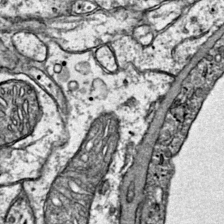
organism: Mouse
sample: Primary visual cortex